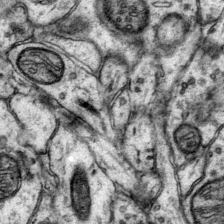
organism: Mouse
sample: Primary visual cortex